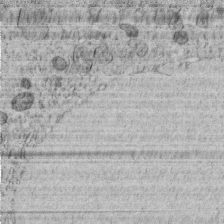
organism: C. elegans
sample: C. elegans embryo early stage